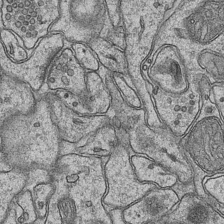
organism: Mouse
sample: CA1 Hippocampus